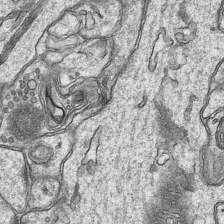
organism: Mouse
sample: CA1 Hippocampus